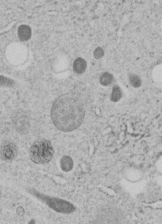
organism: C. elegans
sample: C. elegans embryo early stage